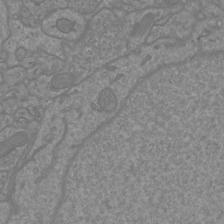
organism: Mouse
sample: Cortical neurons